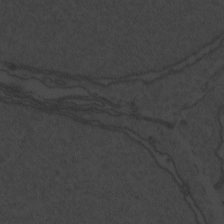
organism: Zebrafish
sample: Macrophage infected with Toxoplasma gondii